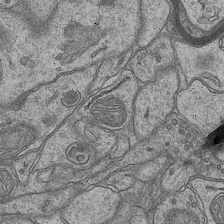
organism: Mouse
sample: CA1 Hippocampus